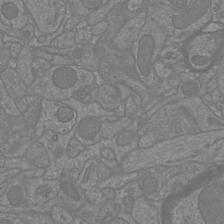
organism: Mouse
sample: Cortical neurons